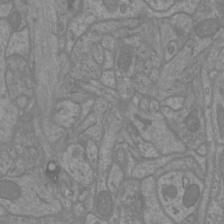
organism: Mouse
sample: Cortical neurons